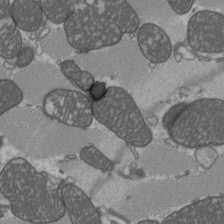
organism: C57BL Mouse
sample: Heart